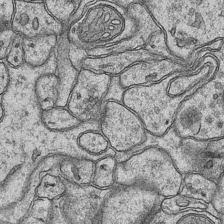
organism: Mouse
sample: CA1 Hippocampus